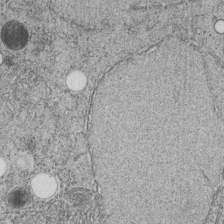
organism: C. elegans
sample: C. elegans embryo early stage